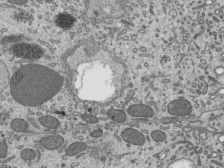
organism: Mouse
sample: Mouse epididymis efferent ductule cilia